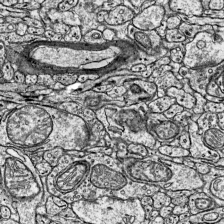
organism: Mouse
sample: Visual Cortex